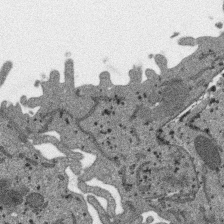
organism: Human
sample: Lung epithelial cells infected with SARS-CoV-2